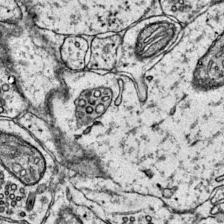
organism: Mouse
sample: Primary visual cortex